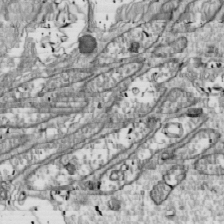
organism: Drosophila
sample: Cell division; meiosis; drosophila spermatocytes